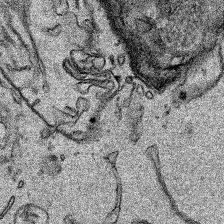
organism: Human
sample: Mitochondria in HCT116 cells